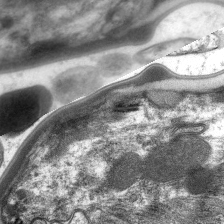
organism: C. elegans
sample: Pharynx